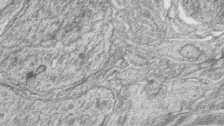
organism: Zebrafish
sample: synaptic ribbons in rod cells and cone cells